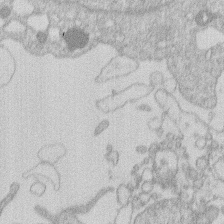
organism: Human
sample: Macrophage cells